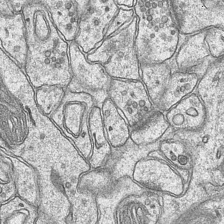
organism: Mouse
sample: CA1 Hippocampus